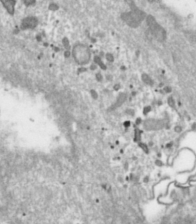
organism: Toxoplasma gondii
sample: Parasites in a vacuole inside a host cell